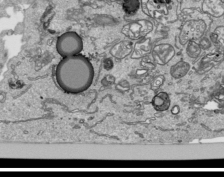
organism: Human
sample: Mitochondria in HCT116 cells